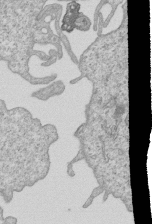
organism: Human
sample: MDA-MB-231 cells